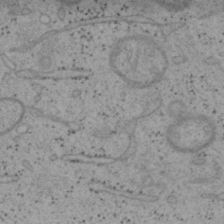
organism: Human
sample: HeLa cells